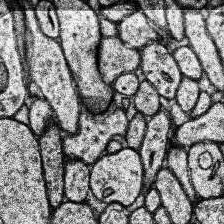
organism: Human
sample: Temporal Lobe